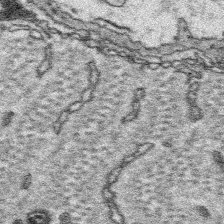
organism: Platynereis dumerilii